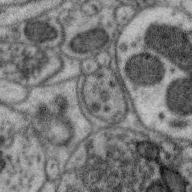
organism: Zebra finch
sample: Brain